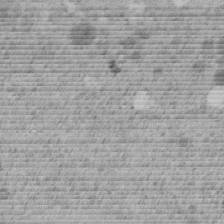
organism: C. elegans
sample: C. elegans embryo early stage